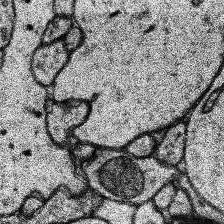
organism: Human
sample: Temporal Lobe